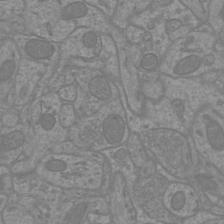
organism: Mouse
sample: Cortical neurons